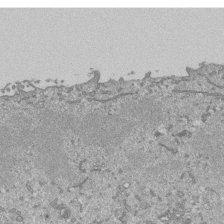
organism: Mouse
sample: ED-1 cell nuclei; centrioles